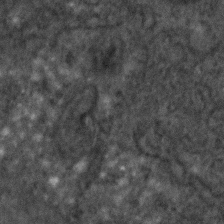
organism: C. elegans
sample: C. elegans embryo